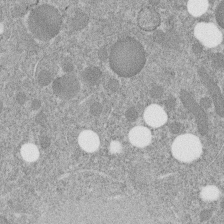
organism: C. elegans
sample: C. elegans embryo early stage